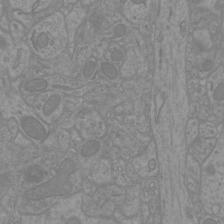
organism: Mouse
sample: Cortical neurons